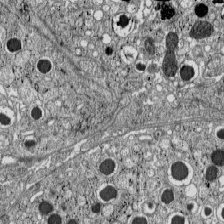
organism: C57BL Mouse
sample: Pancreatic islet